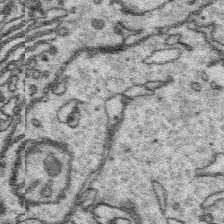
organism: Platynereis dumerilii